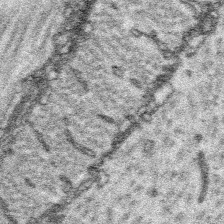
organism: Platynereis dumerilii